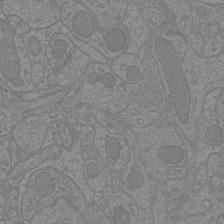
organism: Mouse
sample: Cortical neurons